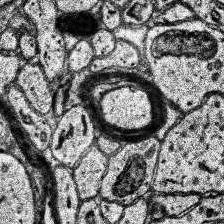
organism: Human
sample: Temporal Lobe